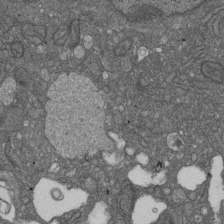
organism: Drosophila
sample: Nephrocyte